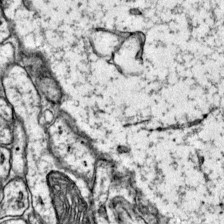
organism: Mouse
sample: Primary visual cortex